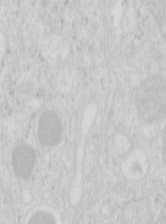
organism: Mouse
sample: Pancreas